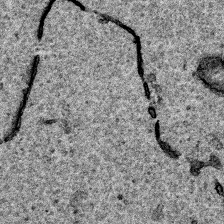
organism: Human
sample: Mitochondria in HCT116 cells